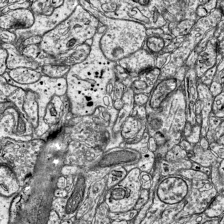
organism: Mouse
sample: Visual Cortex